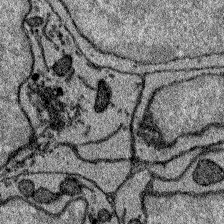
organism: Zebrafish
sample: Larval olfactory bulb